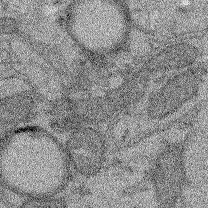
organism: Human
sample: HeLa cells